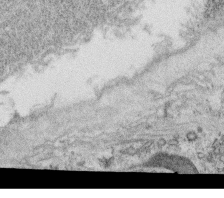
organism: C. elegans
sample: C. elegans oocyte; sperm cells